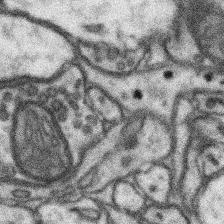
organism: Mouse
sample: Somatosensory cortex neuropil